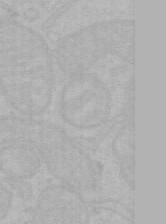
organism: Mouse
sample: Choroid plexus